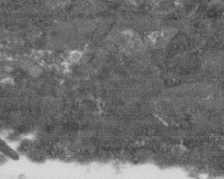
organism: Human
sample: Fibroblast cells